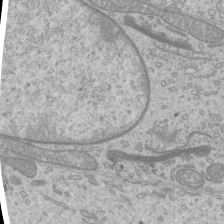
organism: Mouse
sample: Cilia; mouse epididymis